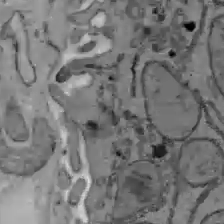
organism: C57BL Mouse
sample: Liver